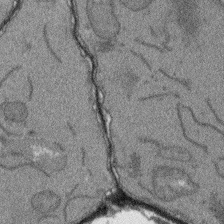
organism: Arabidopsis thaliana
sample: Root tip